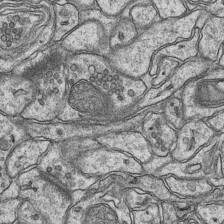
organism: Mouse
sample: CA1 Hippocampus